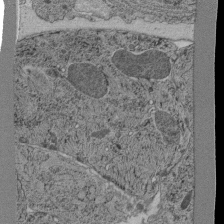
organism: C. elegans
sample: C. elegans pharynx